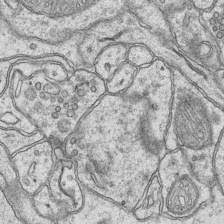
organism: Mouse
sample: CA1 Hippocampus